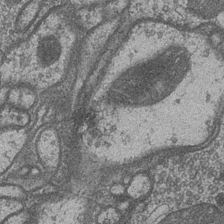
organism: Drosophila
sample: Optic medulla